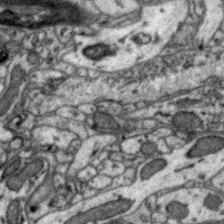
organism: Zebra finch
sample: Brain